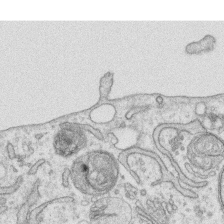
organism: Human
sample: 1205lu cells